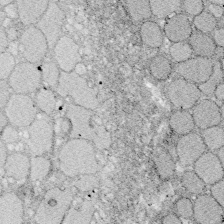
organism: Zebrafish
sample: Whole-Brain